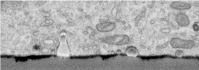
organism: Human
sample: Centriole in RPE cells